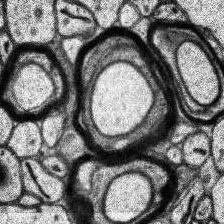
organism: Human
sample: Temporal Lobe